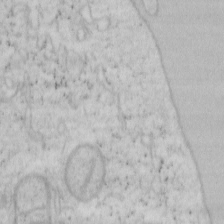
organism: Human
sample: HeLa cells